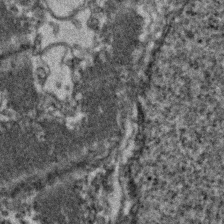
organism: Zebrafish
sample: Zebrafish embryo